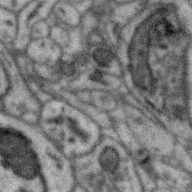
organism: Zebra finch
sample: Brain